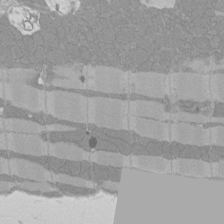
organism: Rat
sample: Left ventricle